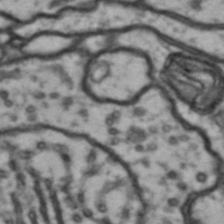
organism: Drosophila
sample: Brain